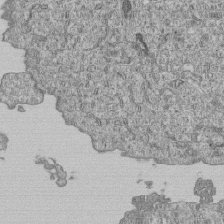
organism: Human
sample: MDA-MB-231 cells